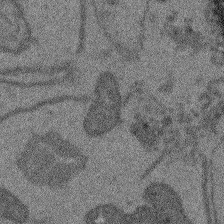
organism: Arabidopsis thaliana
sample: Root tip